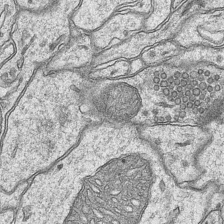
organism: Mouse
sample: CA1 Hippocampus